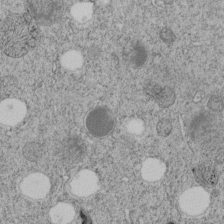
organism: C. elegans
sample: C. elegans embryo early stage